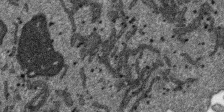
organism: Human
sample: Lung epithelial cells infected with SARS-CoV-2